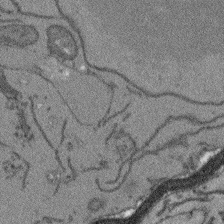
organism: Arabidopsis thaliana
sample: Root tip